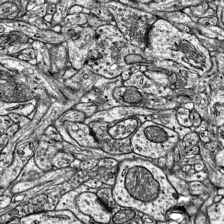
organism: Mouse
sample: Visual Cortex